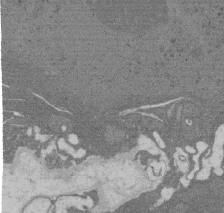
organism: Rat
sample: Salivary granule